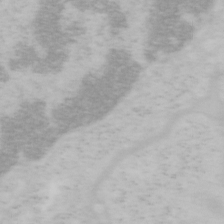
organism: Mouse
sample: OT-I killer T cells with ID8 ovarian cancer cells